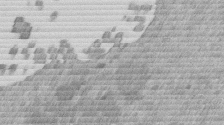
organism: Mouse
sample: Dividing mouse embryo 1 cell stage